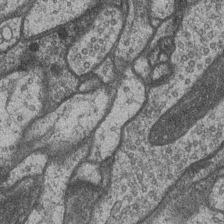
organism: Drosophila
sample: Optic medulla